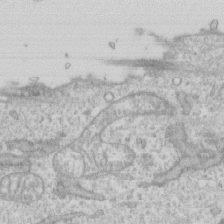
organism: Human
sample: CRL-1474